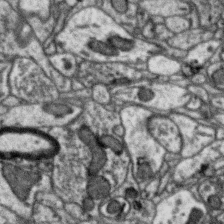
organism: Zebra finch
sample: Brain